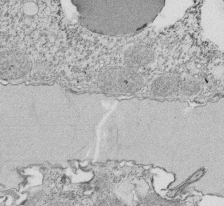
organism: Tetrahymena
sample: Cilia in tetrahymena